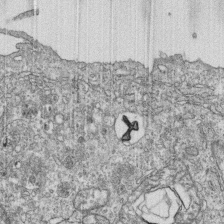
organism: Human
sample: HeLa cell HIV synapse